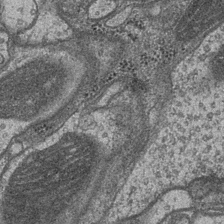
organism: Drosophila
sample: Optic medulla